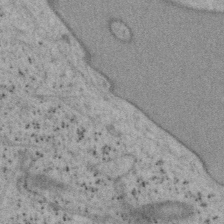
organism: Human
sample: HeLa cells